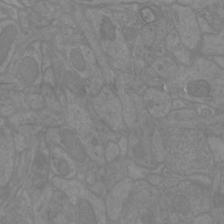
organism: Mouse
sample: Cortical neurons